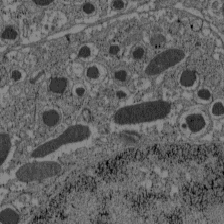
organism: C57BL Mouse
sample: Pancreatic islet